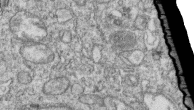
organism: Human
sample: HeLa cell HIV synapse